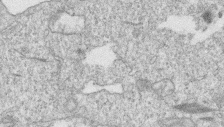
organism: Human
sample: HeLa cell HIV synapse